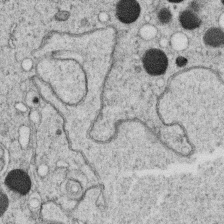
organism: C. elegans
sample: C. elegans oocyte; sperm cells